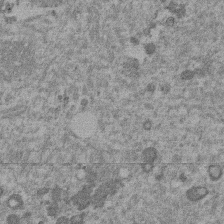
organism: Mouse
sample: Dividing mouse embryo 1 cell stage